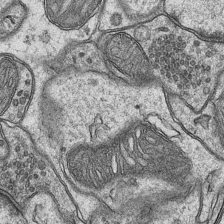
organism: Mouse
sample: CA1 Hippocampus